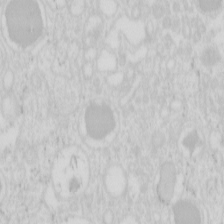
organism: Mouse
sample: Pancreas